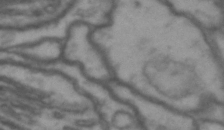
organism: Drosophila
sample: Brain